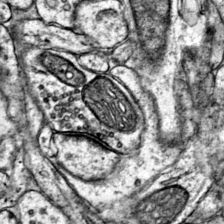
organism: Mouse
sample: Primary visual cortex